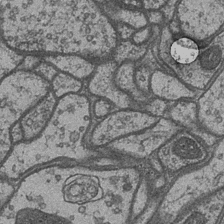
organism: Drosophila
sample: Optic medulla